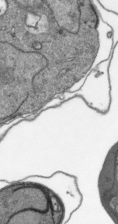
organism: Plasmodium falciparum